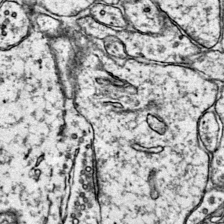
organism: Mouse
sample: Primary visual cortex